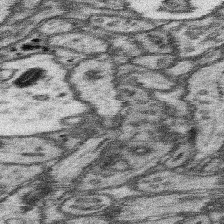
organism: Mouse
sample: Somatosensory cortex neuropil